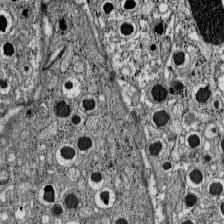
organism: C57BL Mouse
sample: Pancreatic islet